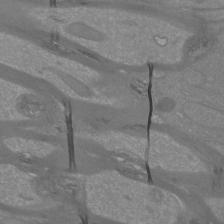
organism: Mouse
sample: Cortical neurons